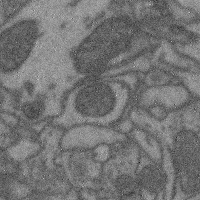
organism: Mouse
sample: Cerebral cortex